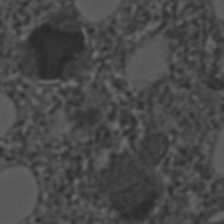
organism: C. elegans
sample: C. elegans embryo